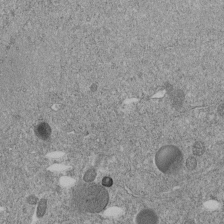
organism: C. elegans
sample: C. elegans embryo early stage